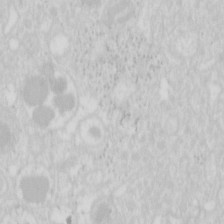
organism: Mouse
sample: Pancreas